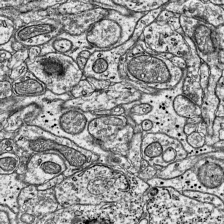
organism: Mouse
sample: Visual Cortex